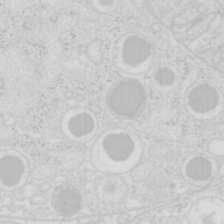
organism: Mouse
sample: Pancreas